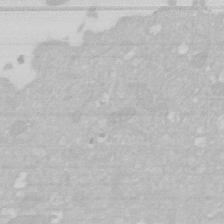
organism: Human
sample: HIV infected U937 cells